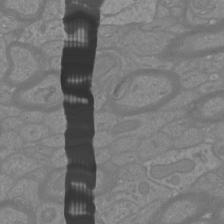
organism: Mouse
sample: Cortical neurons